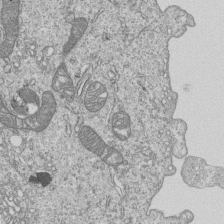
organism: Human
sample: MDA-MB-231 cells